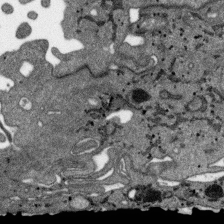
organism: Human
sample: Lung epithelial cells, uninfected (mock) control